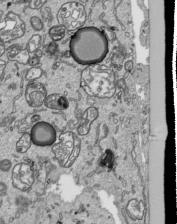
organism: Human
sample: Mitochondria in HCT116 cells